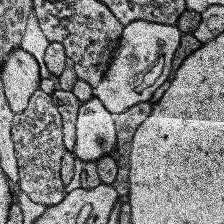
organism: Human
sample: Temporal Lobe